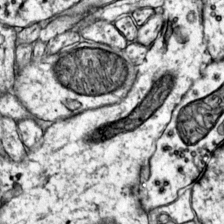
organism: Mouse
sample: Primary visual cortex